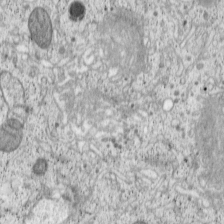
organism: African green monkey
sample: COS-7 cells